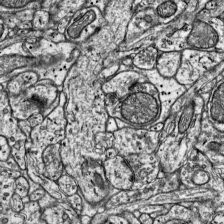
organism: Mouse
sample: Visual Cortex